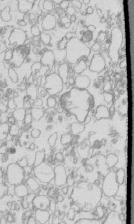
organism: Mouse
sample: Macrophages